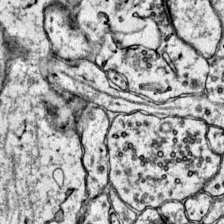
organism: Mouse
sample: Primary visual cortex